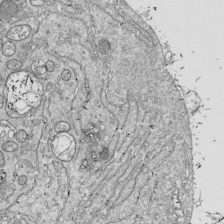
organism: Drosophila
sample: Cell division; meiosis; drosophila spermatocytes